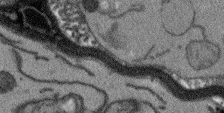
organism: Arabidopsis thaliana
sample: Root tip